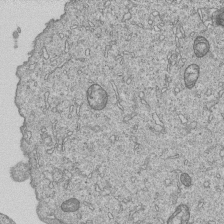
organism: Human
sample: MDA-MB-231 cells